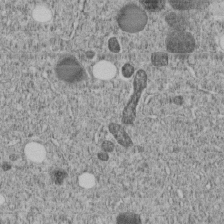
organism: C. elegans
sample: C. elegans embryo early stage